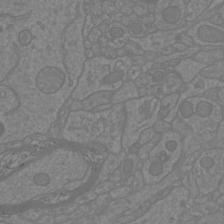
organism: Mouse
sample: Cortical neurons